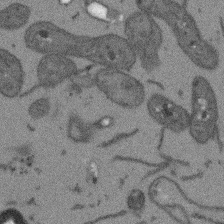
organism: Arabidopsis thaliana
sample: Root tip